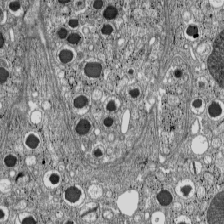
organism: C57BL Mouse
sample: Pancreatic islet